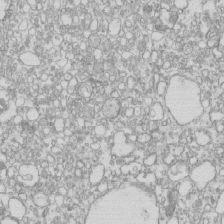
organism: Mouse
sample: Macrophages